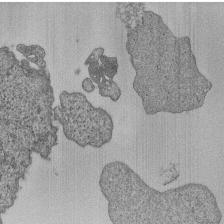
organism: Human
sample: MDA-MB-231 cells